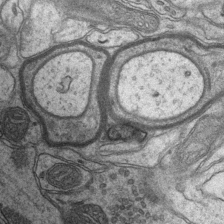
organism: Mouse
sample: CA1 Hippocampus